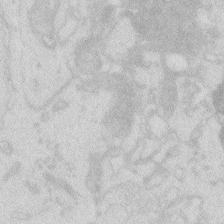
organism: Zebrafish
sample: Macrophage